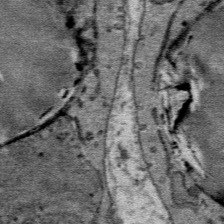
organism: Mouse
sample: Mouse Salivary gland